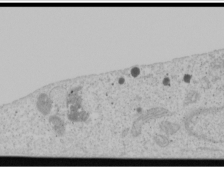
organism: Human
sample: Mitochondria in U2OS cells